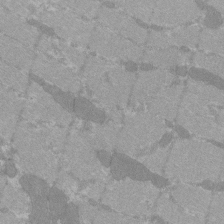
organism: C57BL Mouse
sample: Tibialis anterior muscle cell